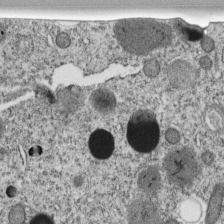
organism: C. elegans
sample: C. elegans embryo early stage